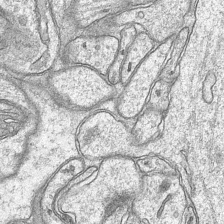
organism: Mouse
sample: CA1 Hippocampus